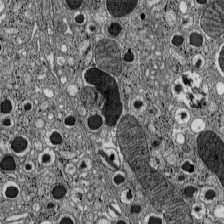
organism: C57BL Mouse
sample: Pancreatic islet